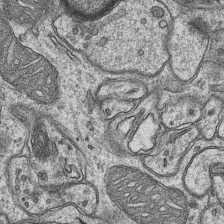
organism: Mouse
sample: CA1 Hippocampus